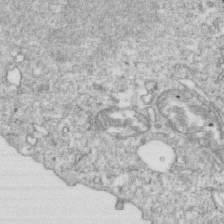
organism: Mouse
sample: Activated OT-1 CD8+ T cells